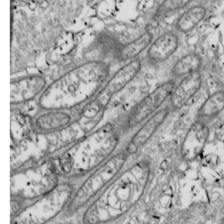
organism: Drosophila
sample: Cell division; meiosis; drosophila spermatocytes